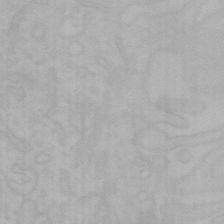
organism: Mouse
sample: Choroid plexus